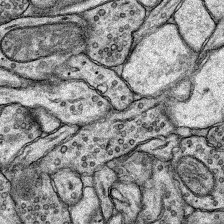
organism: Rat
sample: Hippocampus